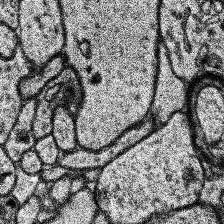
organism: Human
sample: Temporal Lobe